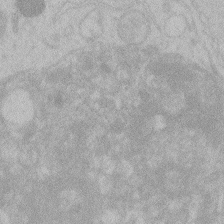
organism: Zebrafish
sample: Macrophage infected with Toxoplasma gondii